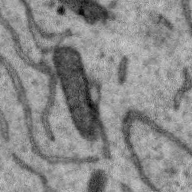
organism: Zebra finch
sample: Brain